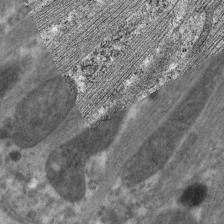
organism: C. elegans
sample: Pharynx